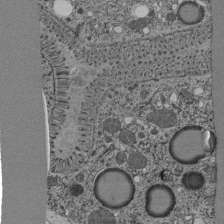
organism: C. elegans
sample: C. elegans pharynx